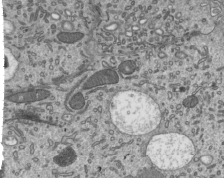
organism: Mouse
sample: Mouse epididymis efferent ductule cilia